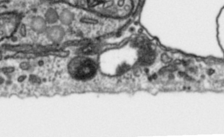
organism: Toxoplasma gondii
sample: Parasites in a vacuole inside a host cell